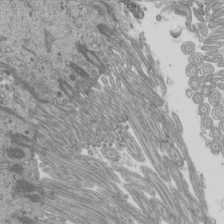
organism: Mouse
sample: Cilia; mouse epididymis